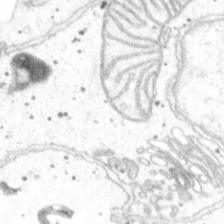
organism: Human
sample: HeLa cells